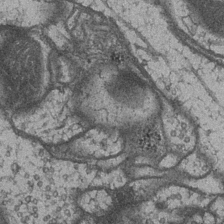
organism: Drosophila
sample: Optic medulla